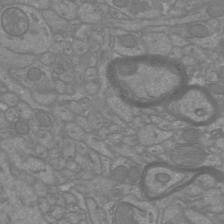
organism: Mouse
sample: Cortical neurons